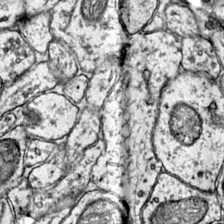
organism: Mouse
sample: Primary visual cortex